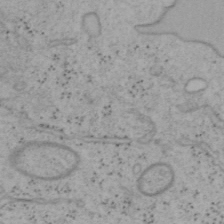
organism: Human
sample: HeLa cells